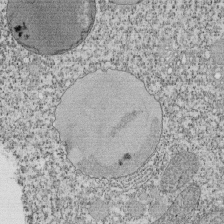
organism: Tetrahymena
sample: Cilia in tetrahymena